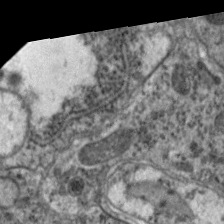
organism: C. elegans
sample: Pharynx